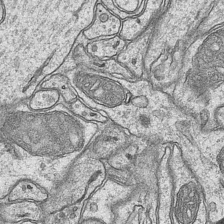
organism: Mouse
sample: CA1 Hippocampus